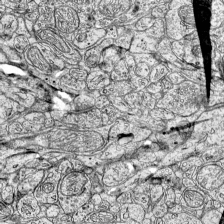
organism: Mouse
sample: Visual Cortex